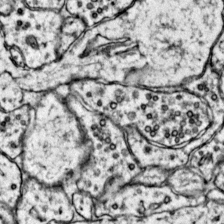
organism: Mouse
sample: Primary visual cortex